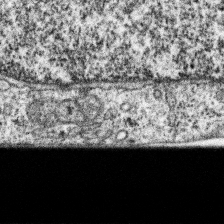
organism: Human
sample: HeLa cells